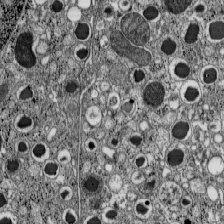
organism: C57BL Mouse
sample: Pancreatic islet